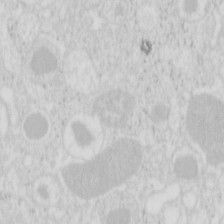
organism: Mouse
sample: Pancreas